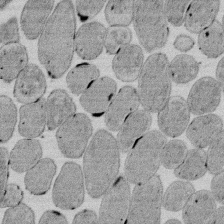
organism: E. coli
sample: Bacterial nucleoid